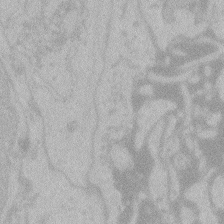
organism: Zebrafish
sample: Macrophage infected with Toxoplasma gondii